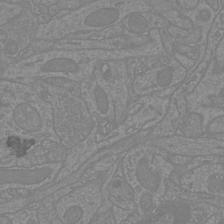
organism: Mouse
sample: Cortical neurons